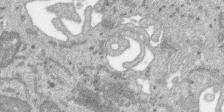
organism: Human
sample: Lung epithelial cells infected with SARS-CoV-2